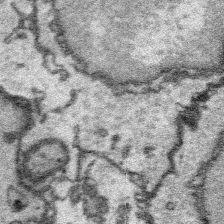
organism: Platynereis dumerilii